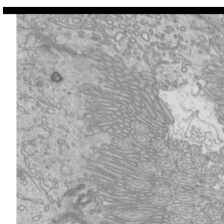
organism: Mouse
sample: Cilia; mouse epididymis